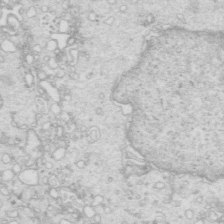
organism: Mouse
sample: Multiciliated cells